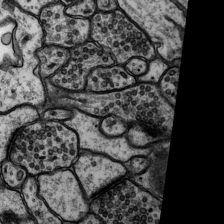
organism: Rat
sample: Hippocampus